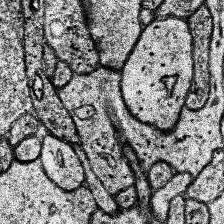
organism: Human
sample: Temporal Lobe